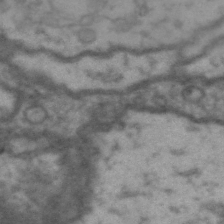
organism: Drosophila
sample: Brain